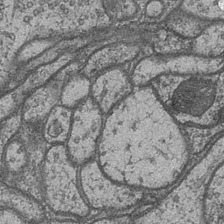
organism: Drosophila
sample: Optic medulla